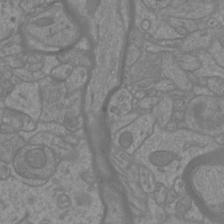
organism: Mouse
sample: Cortical neurons